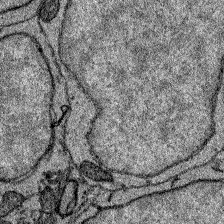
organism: Zebrafish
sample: Larval olfactory bulb